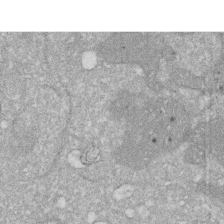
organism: Human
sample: HIV infected U937 cells